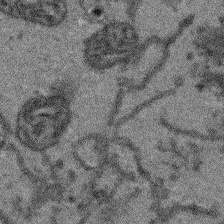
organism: Arabidopsis thaliana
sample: Root tip